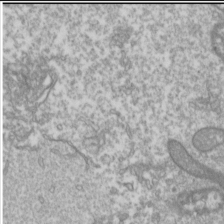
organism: Drosophila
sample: Cell division; meiosis; drosophila spermatocytes